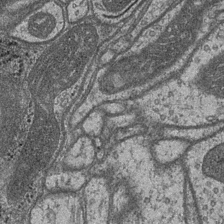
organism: Drosophila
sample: Optic medulla